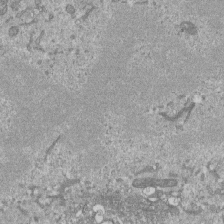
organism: Mouse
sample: ED-1 cell nuclei; centrioles